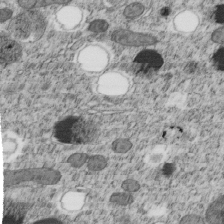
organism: C. elegans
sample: C. elegans embryo early stage